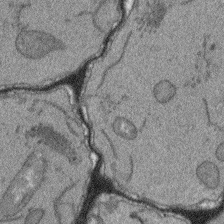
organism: Arabidopsis thaliana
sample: Root tip